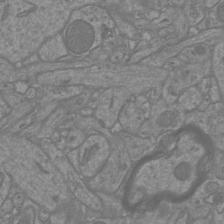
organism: Mouse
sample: Cortical neurons